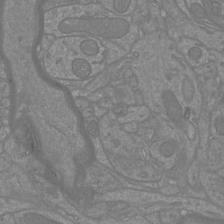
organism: Mouse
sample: Cortical neurons